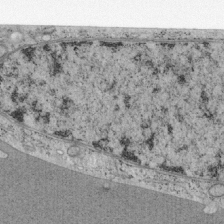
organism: Human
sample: HeLa cells